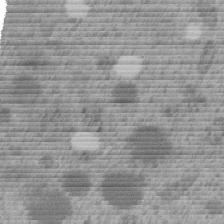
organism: C. elegans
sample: C. elegans embryo early stage